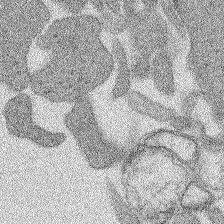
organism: Human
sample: HeLa cells